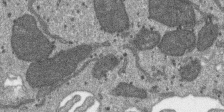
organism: Human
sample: Lung epithelial cells infected with SARS-CoV-2